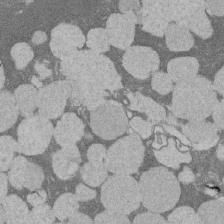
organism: Rat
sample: Salivary granule